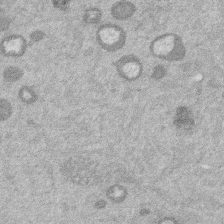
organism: Mouse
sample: Dividing mouse embryo 1 cell stage